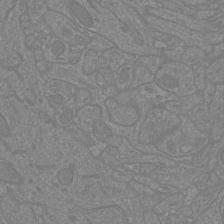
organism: Mouse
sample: Cortical neurons